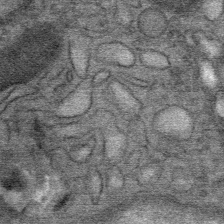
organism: Mouse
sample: Mouse Salivary gland